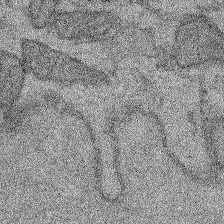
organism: Human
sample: HeLa cells